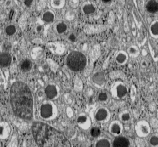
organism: C57BL Mouse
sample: Pancreatic islet